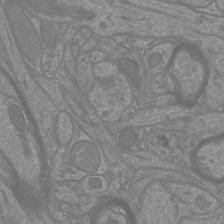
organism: Mouse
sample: Cortical neurons